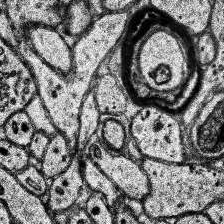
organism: Human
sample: Temporal Lobe